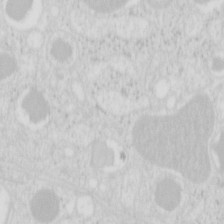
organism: Mouse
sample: Pancreas